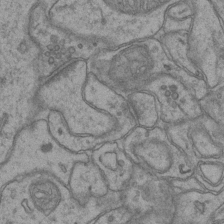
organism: Mouse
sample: CA1 Hippocampus